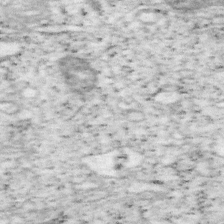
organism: Mouse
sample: OT-I killer T cells with ID8 ovarian cancer cells